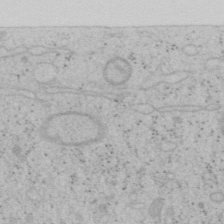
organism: Human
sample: HeLa cells